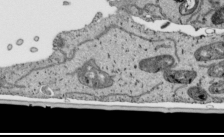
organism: Human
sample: Mitochondria in HCT116 cells